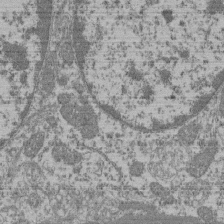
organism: Mouse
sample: Glomerulus